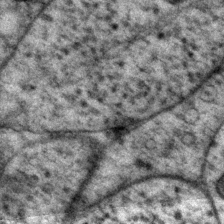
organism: P. pacificus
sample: Pharynx